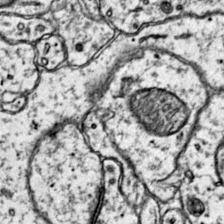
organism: Mouse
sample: Primary visual cortex